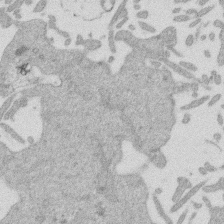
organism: Mouse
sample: Dividing mouse embryo 1 cell stage